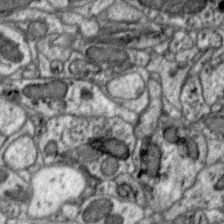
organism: Zebra finch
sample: Brain